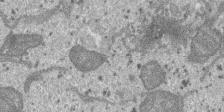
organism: Human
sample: Lung epithelial cells infected with SARS-CoV-2